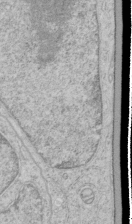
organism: Human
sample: Mitochondria in HCT116 cells